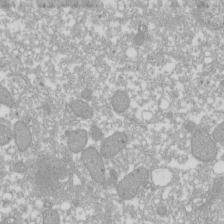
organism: Xenopus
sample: Cilia; centrioles in frog embryo cells